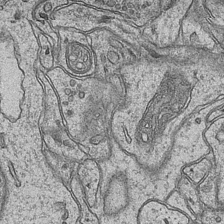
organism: Mouse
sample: CA1 Hippocampus